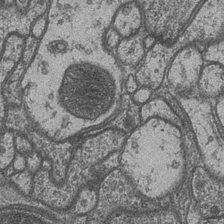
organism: Drosophila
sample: Optic medulla